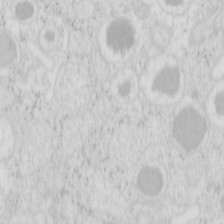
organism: Mouse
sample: Pancreas